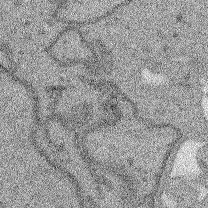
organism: Human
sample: HeLa cells